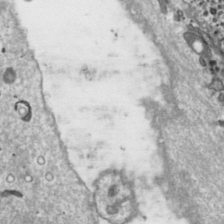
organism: Toxoplasma gondii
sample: Parasites in a vacuole inside a host cell